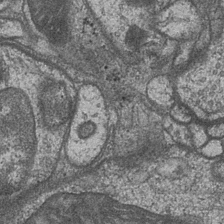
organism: Drosophila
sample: Optic medulla